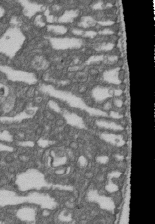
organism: Drosophila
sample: Nephrocyte